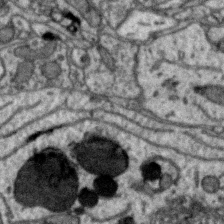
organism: Zebra finch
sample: Brain